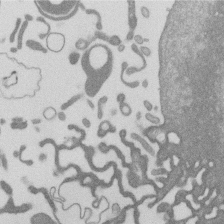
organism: Mouse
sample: Dividing mouse embryo 1 cell stage